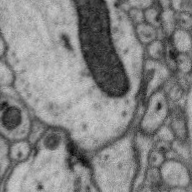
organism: Zebra finch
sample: Brain